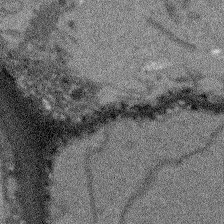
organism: Arabidopsis thaliana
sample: Root tip